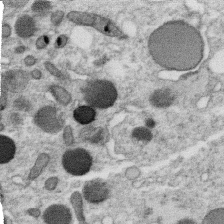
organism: C. elegans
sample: C. elegans oocyte; sperm cells